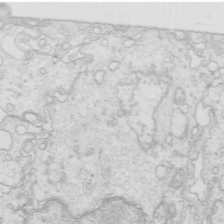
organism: Mouse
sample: Multiciliated cells